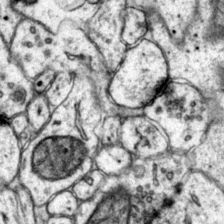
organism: Mouse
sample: Primary visual cortex